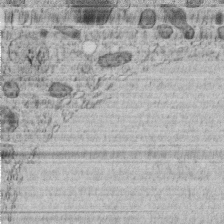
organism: C. elegans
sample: C. elegans embryo early stage